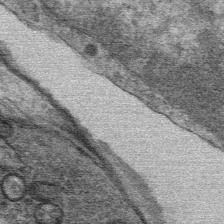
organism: Mouse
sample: Mouse Salivary gland